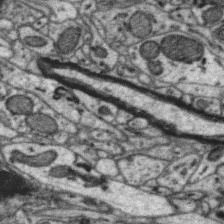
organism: Zebra finch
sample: Brain